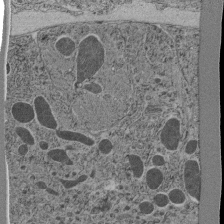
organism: C. elegans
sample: C. elegans pharynx